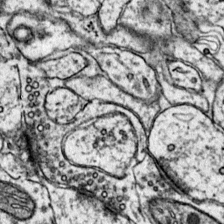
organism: Mouse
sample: Primary visual cortex